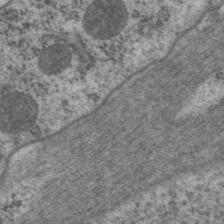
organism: P. pacificus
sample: Pharynx